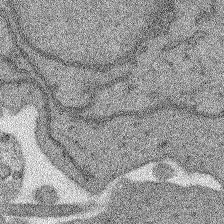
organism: Human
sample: HeLa cells